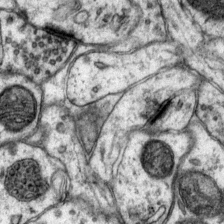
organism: Mouse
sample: Primary visual cortex